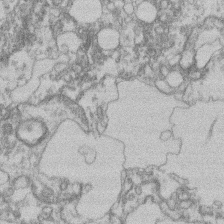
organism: Mouse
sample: T cell stromal cell synapse